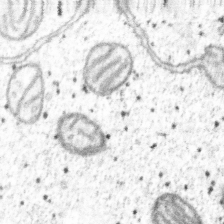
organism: Human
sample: HeLa cells